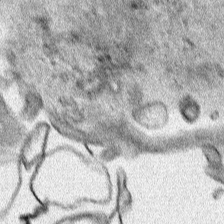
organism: Human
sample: Mitochondria in HCT116 cells